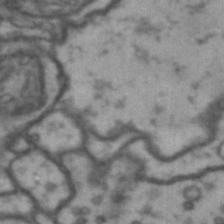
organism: Drosophila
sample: Brain